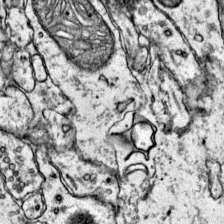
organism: Mouse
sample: Primary visual cortex